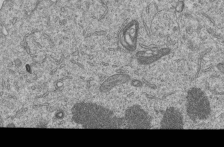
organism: Human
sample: MDA-MB-231 cells